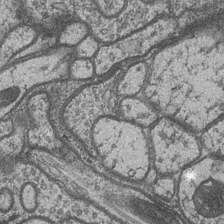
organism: Drosophila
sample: Optic medulla